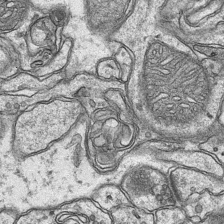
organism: Mouse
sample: CA1 Hippocampus